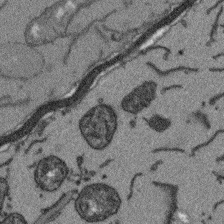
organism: Arabidopsis thaliana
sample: Root tip